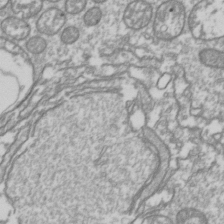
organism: Drosophila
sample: Cell division; meiosis; drosophila spermatocytes